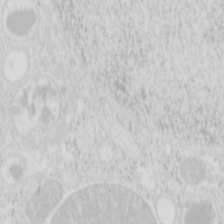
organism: Mouse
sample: Pancreas